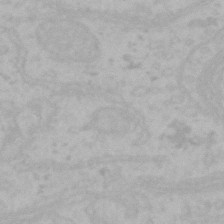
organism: Mouse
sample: Choroid plexus